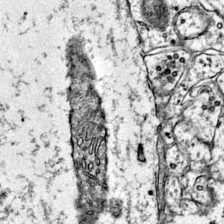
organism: Mouse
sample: Primary visual cortex